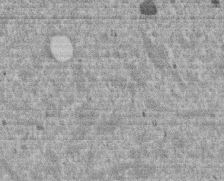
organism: Mouse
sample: Dividing mouse embryo 1 cell stage